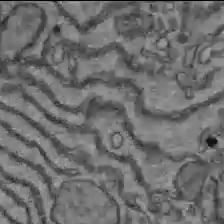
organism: C57BL Mouse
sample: Liver